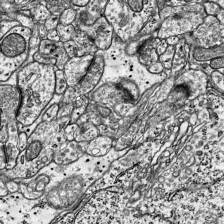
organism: Mouse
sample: Visual Cortex